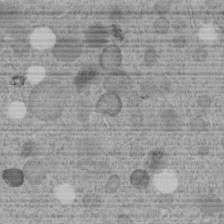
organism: C. elegans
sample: C. elegans embryo early stage